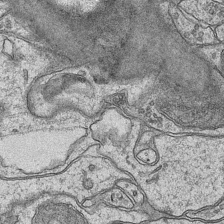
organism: Mouse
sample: CA1 Hippocampus